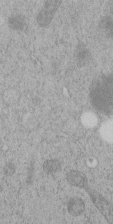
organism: C. elegans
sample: C. elegans embryo early stage